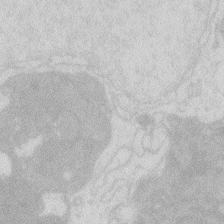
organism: Zebrafish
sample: Macrophage